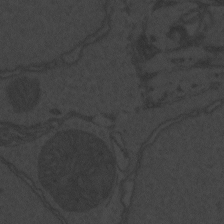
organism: Zebrafish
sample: Macrophage infected with Toxoplasma gondii